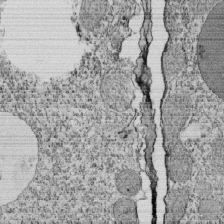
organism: Tetrahymena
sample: Cilia in tetrahymena